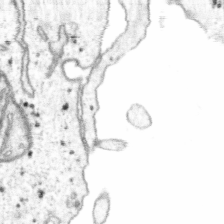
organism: Human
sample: HeLa cells